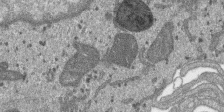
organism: Human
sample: Lung epithelial cells infected with SARS-CoV-2